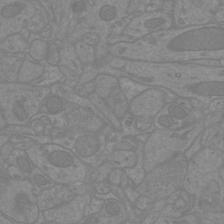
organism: Mouse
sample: Cortical neurons